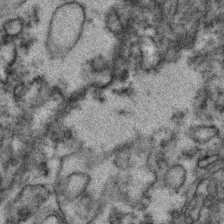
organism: Zebrafish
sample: Zebrafish embryo